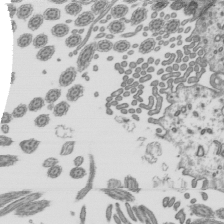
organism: Mouse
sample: Mouse epididymis efferent ductule cilia